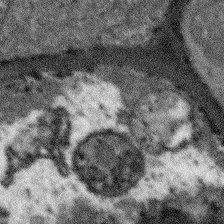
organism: Arabidopsis thaliana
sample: Root tip